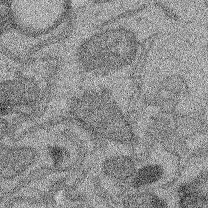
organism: Human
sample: HeLa cells